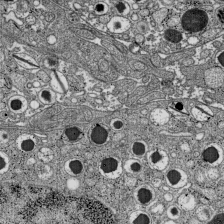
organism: C57BL Mouse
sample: Pancreatic islet